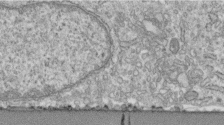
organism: Human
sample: Centriole in fibroblast cells